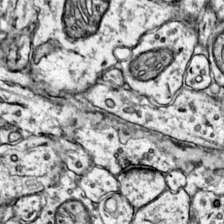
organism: Mouse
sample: Primary visual cortex